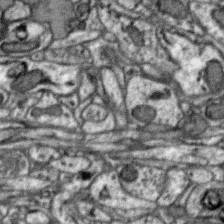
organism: Zebra finch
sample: Brain